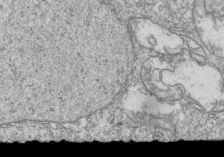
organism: Human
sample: HeLa cell HIV synapse